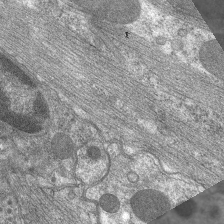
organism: C. elegans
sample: Pharynx